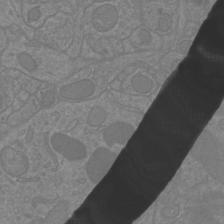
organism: Mouse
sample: Cortical neurons